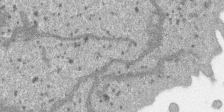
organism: Human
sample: Lung epithelial cells infected with SARS-CoV-2